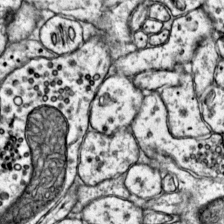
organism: Mouse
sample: Primary visual cortex